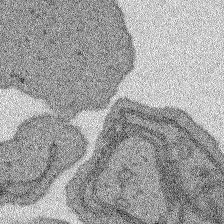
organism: Human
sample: HeLa cells